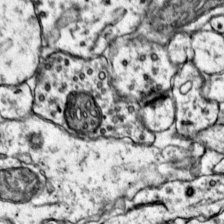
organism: Mouse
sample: Primary visual cortex